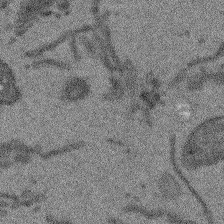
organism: Arabidopsis thaliana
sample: Root tip